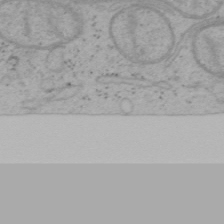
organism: Human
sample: HeLa cells